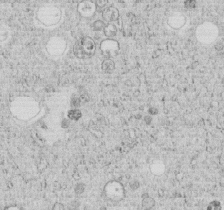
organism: C. elegans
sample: C. elegans embryo early stage